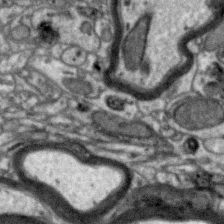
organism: Zebra finch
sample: Brain